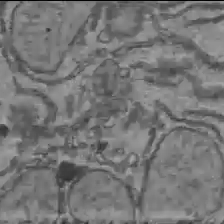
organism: C57BL Mouse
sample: Liver